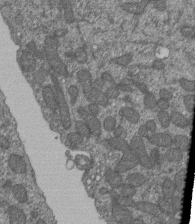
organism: Human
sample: Retinal organoid Rod and Cone cells